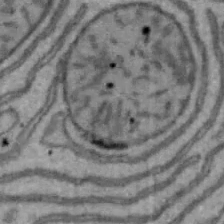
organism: Mouse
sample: Liver